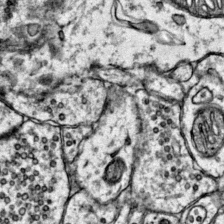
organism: Mouse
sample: Primary visual cortex